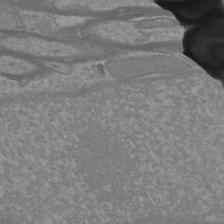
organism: Mouse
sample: Cortical neurons